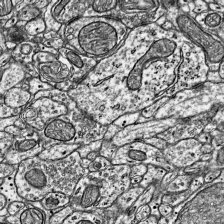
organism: Mouse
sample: Visual Cortex